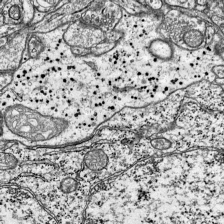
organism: Mouse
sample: Visual Cortex